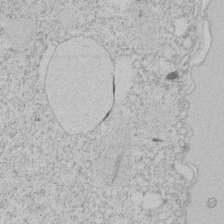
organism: Tetrahymena